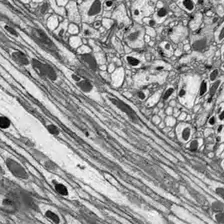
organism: Drosophila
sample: Optic lobe